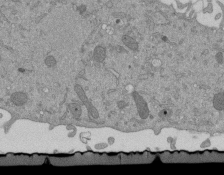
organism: Mouse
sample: ED-1 cell nuclei; centrioles